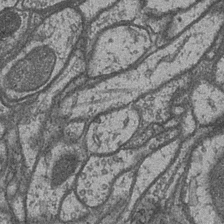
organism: Drosophila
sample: Optic medulla